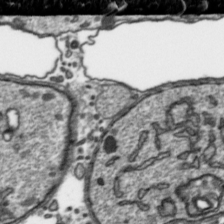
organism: Toxoplasma gondii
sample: Parasites in a vacuole inside a host cell